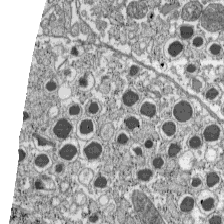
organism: C57BL Mouse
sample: Pancreatic islet